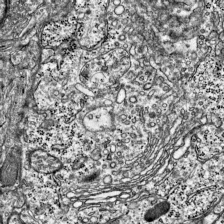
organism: Mouse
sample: Visual Cortex